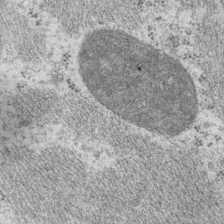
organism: P. pacificus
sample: Pharynx